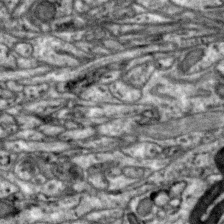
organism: Zebra finch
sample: Brain